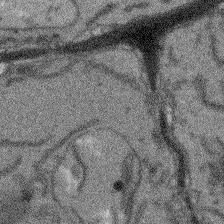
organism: Arabidopsis thaliana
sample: Root tip